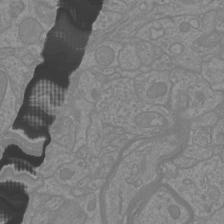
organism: Mouse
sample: Cortical neurons